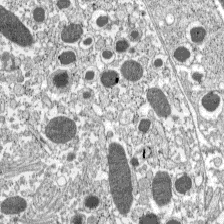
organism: C57BL Mouse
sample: Pancreatic islet